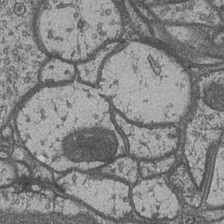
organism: Drosophila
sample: Optic medulla